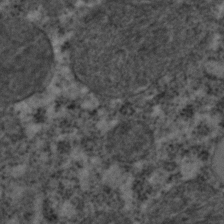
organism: C. elegans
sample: C. elegans embryo